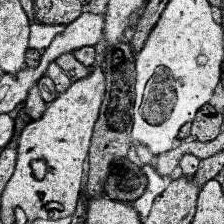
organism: Human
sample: Temporal Lobe